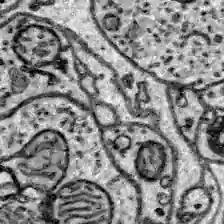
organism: Zebrafish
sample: Brain